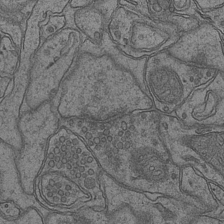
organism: Mouse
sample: CA1 Hippocampus